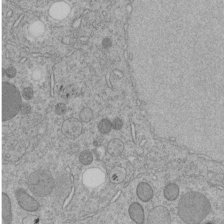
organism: C. elegans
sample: C. elegans embryo early stage